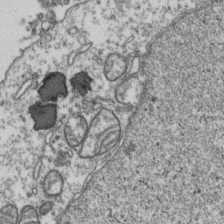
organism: Human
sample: Activated Jurkat CD4+ T cells